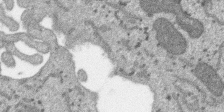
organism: Human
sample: Lung epithelial cells infected with SARS-CoV-2